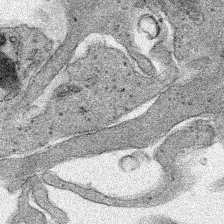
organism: Human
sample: Mitochondria in HCT116 cells